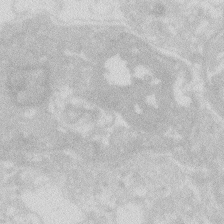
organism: Zebrafish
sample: Macrophage